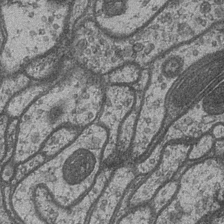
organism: Drosophila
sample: Optic medulla